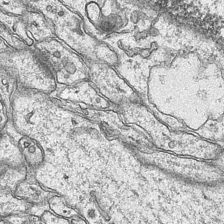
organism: Mouse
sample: CA1 Hippocampus